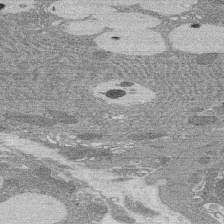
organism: Rat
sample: Salivary granule